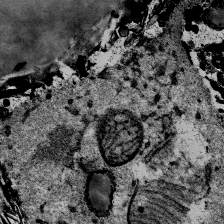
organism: Mouse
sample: Mouse Salivary gland